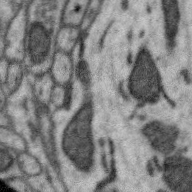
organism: Zebra finch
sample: Brain